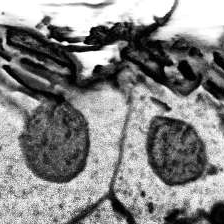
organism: Human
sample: Temporal Lobe